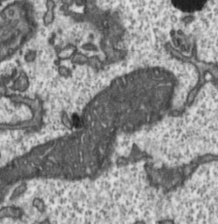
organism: Toxoplasma gondii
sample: Parasites in a vacuole inside a host cell